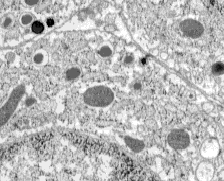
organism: C57BL Mouse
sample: Pancreatic islet